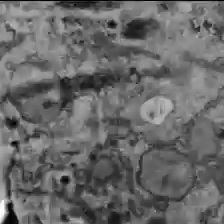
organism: C57BL Mouse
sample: Liver